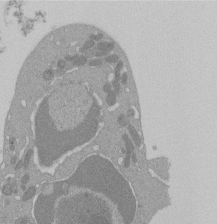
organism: Mouse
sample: Activated Pmel transgenic CD8+ T Cells